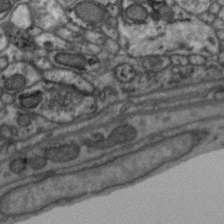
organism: Zebra finch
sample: Brain